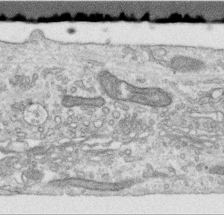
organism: Human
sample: Centriole in RPE cells